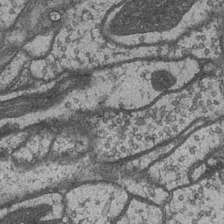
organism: Drosophila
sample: Optic medulla